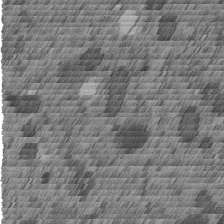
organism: C. elegans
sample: C. elegans embryo early stage